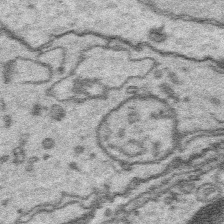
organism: Platynereis dumerilii